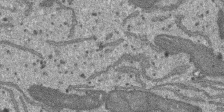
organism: Human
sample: Lung epithelial cells infected with SARS-CoV-2